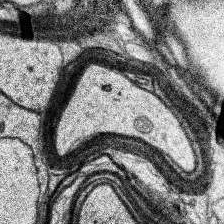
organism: Human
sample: Temporal Lobe